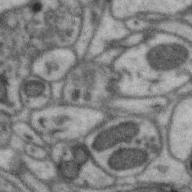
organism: Zebra finch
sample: Brain